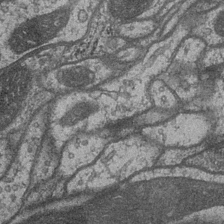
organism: Drosophila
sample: Optic medulla